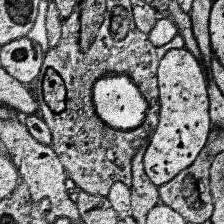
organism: Human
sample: Temporal Lobe